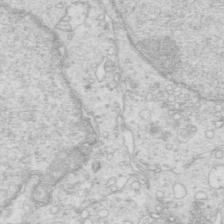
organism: Mouse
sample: Multiciliated cells